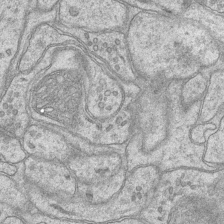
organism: Mouse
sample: CA1 Hippocampus